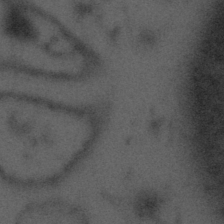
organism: Tuwongella immobilis